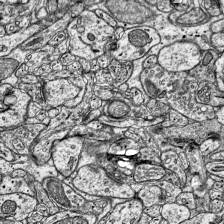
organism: Mouse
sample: Visual Cortex